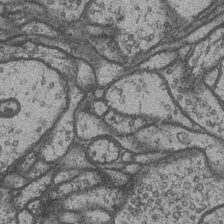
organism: Drosophila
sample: Optic medulla